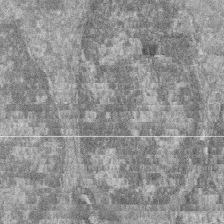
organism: Zebrafish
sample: Cilia; retinal pigment epithelium